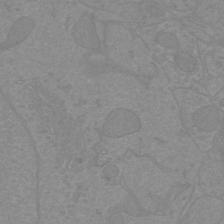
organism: Mouse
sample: Cortical neurons